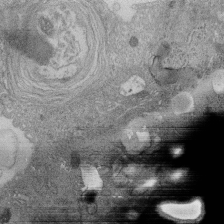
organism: Human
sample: Retinal organoid Rod and Cone cells